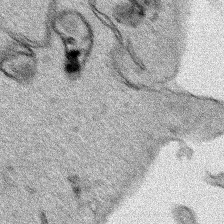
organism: Human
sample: Mitochondria in HCT116 cells